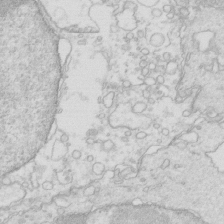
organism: Mouse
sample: Multiciliated cells